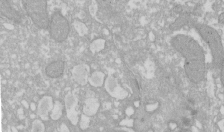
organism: Xenopus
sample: Cilia; centrioles in frog embryo cells